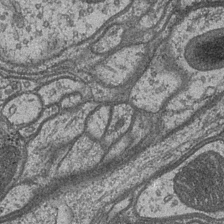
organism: Drosophila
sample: Optic medulla